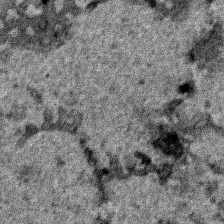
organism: Human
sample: Mitochondria in HCT116 cells